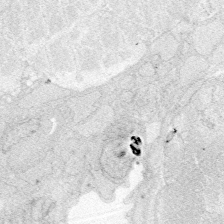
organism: Zebrafish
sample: Whole-Brain